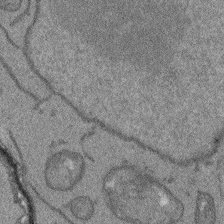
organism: Arabidopsis thaliana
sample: Root tip